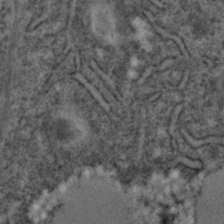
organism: C. elegans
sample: C. elegans embryo